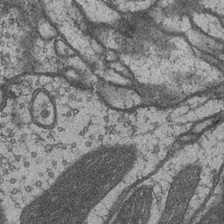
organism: Drosophila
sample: Optic medulla